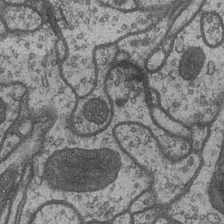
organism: Drosophila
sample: Optic medulla